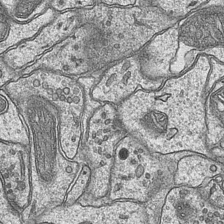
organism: Mouse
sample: CA1 Hippocampus